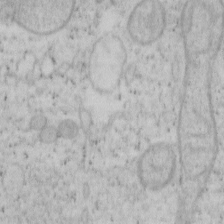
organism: Human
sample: HeLa cells